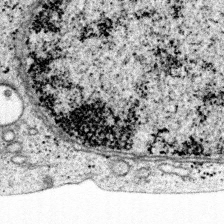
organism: Human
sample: HeLa cells